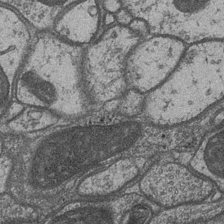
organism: Drosophila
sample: Optic medulla